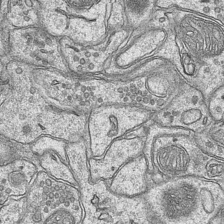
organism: Mouse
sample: CA1 Hippocampus